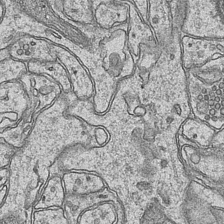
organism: Mouse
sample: CA1 Hippocampus